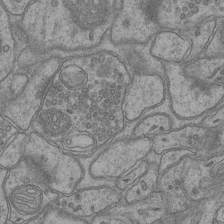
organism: Mouse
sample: CA1 Hippocampus